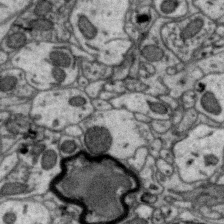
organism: Zebra finch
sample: Brain